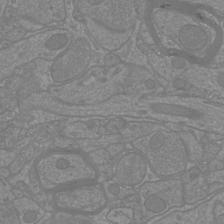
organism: Mouse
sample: Cortical neurons